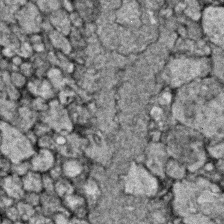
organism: Zebrafish